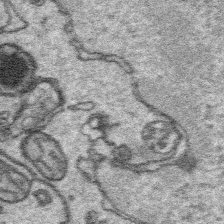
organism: Platynereis dumerilii